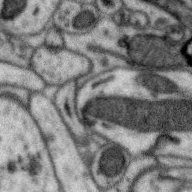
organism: Zebra finch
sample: Brain